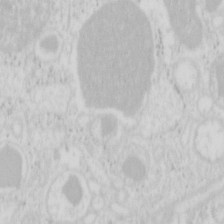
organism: Mouse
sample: Pancreas